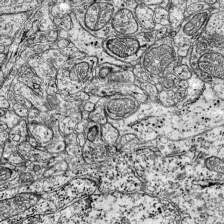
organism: Mouse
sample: Visual Cortex